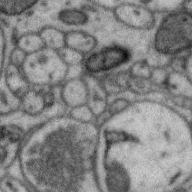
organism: Zebra finch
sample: Brain